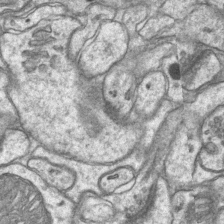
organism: Mouse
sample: CA1 Hippocampus